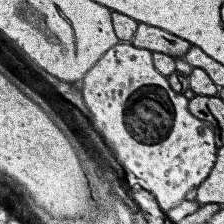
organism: Human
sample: Temporal Lobe